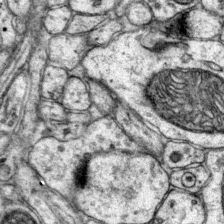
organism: Mouse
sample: Primary visual cortex